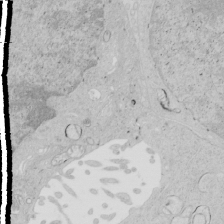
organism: Human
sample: Mitochondria in HCT116 cells